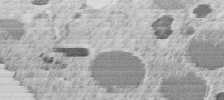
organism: C. elegans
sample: C. elegans embryo early stage